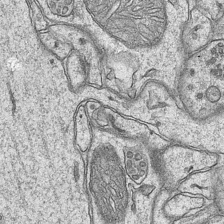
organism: Mouse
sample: CA1 Hippocampus